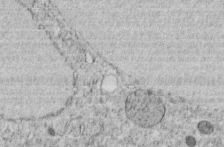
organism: C. elegans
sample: C. elegans embryo early stage